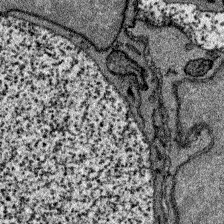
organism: Zebrafish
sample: Larval olfactory bulb